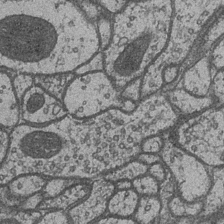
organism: Drosophila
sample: Optic medulla